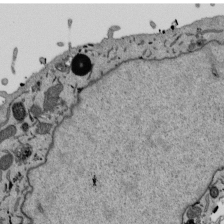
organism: Mouse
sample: ED-1 cell nuclei; centrioles